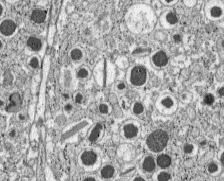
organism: C57BL Mouse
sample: Pancreatic islet